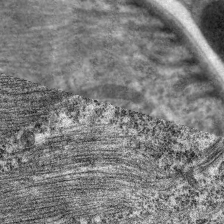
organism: C. elegans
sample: Pharynx